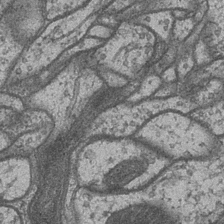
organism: Drosophila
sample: Optic medulla